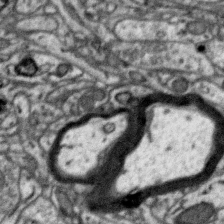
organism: Zebra finch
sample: Brain